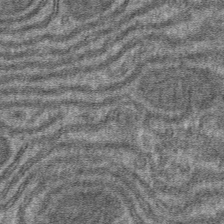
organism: Mouse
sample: Mouse hepatocytes